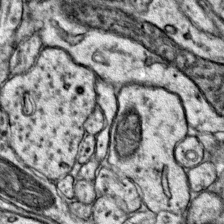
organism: Mouse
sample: Primary visual cortex